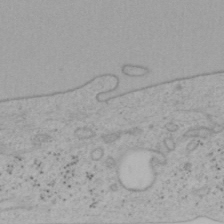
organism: Human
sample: HeLa cells